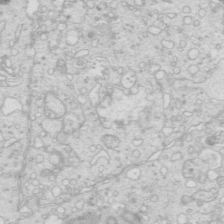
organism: Mouse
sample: Multiciliated cells